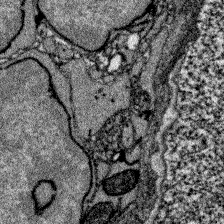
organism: Zebrafish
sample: Larval olfactory bulb